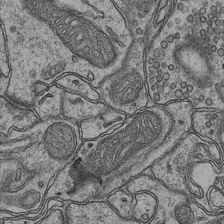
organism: Mouse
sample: CA1 Hippocampus